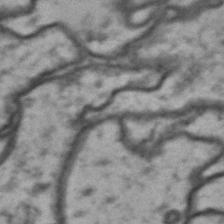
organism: Drosophila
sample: Brain